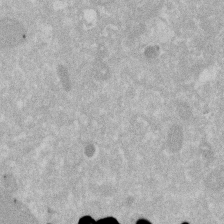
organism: Human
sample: HIV infected U937 cells